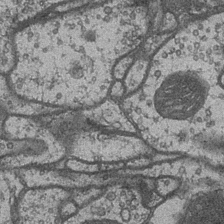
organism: Drosophila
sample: Optic medulla